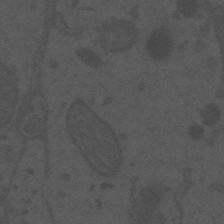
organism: Mouse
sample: Suprachiasmatic nucleus